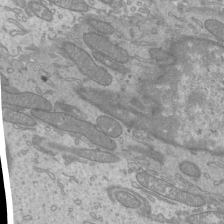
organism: Mouse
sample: Cilia; mouse epididymis